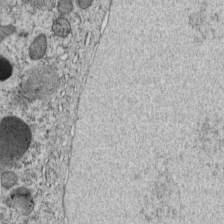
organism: C. elegans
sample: C. elegans embryo early stage